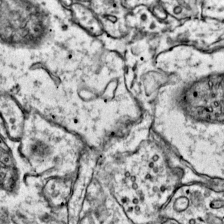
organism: Mouse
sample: Primary visual cortex